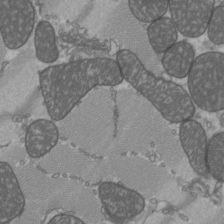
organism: C57BL Mouse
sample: Heart